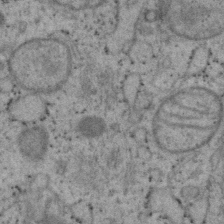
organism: Human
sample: HeLa cells